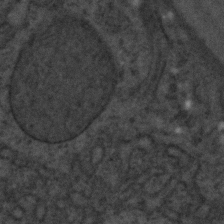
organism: C. elegans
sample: C. elegans embryo